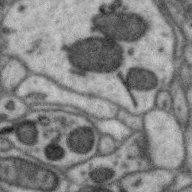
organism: Zebra finch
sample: Brain